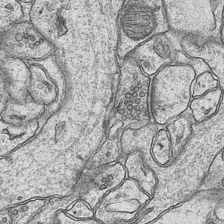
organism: Mouse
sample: CA1 Hippocampus